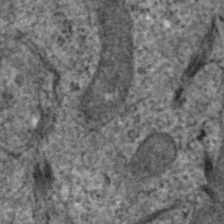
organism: Human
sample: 1205lu cells